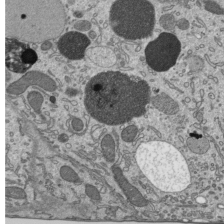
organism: Mouse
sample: Mouse epididymis efferent ductule cilia